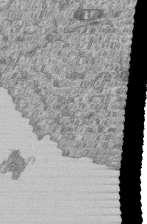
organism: Human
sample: MDA-MB-231 cells